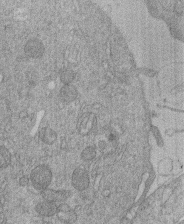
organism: Human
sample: Macrophage cells